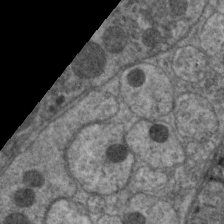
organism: C. elegans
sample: Pharynx